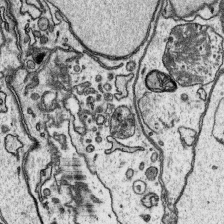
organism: Platynereis dumerilii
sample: Parapodia